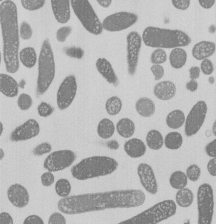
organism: E. coli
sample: Bacterial nucleoid